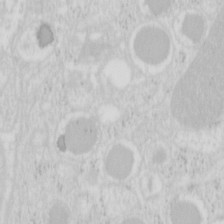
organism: Mouse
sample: Pancreas